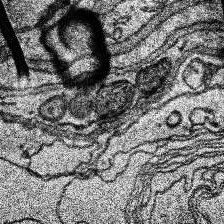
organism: Human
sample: Temporal Lobe